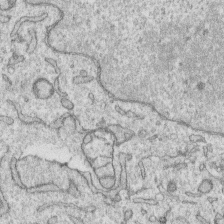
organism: Human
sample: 1205lu cells